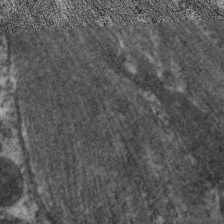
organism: C. elegans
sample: Pharynx